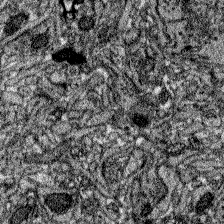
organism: Zebrafish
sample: Larval olfactory bulb